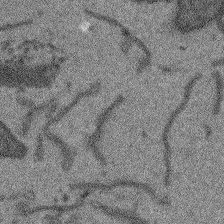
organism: Arabidopsis thaliana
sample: Root tip